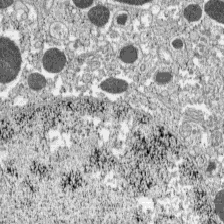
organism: C57BL Mouse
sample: Pancreatic islet